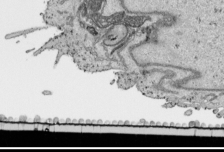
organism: Human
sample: Mitochondria in HCT116 cells